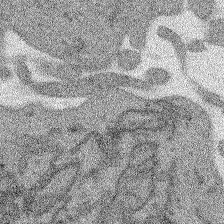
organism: Human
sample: HeLa cells